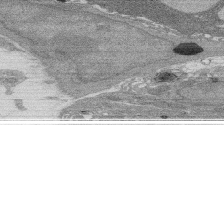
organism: Rat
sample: Salivary granule